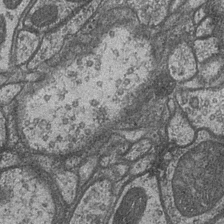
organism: Drosophila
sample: Optic medulla